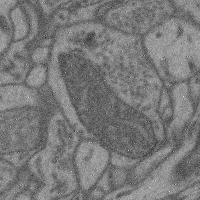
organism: Mouse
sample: Cerebral cortex